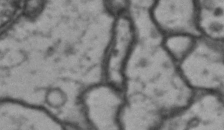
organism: Drosophila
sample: Brain